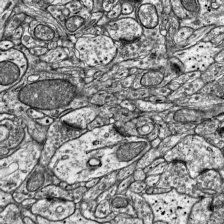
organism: Mouse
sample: Visual Cortex